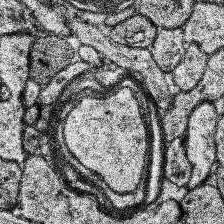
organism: Human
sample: Temporal Lobe